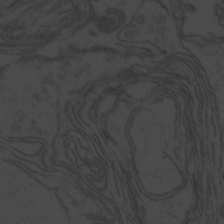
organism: Zebrafish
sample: Macrophage infected with Toxoplasma gondii